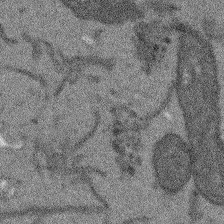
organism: Arabidopsis thaliana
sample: Root tip